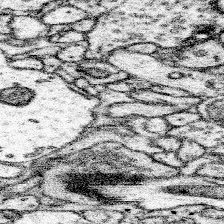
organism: Mouse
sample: Somatosensory cortex neuropil